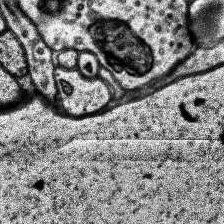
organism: Human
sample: Temporal Lobe